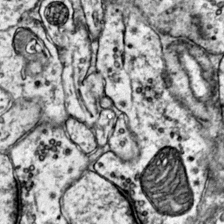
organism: Mouse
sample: Primary visual cortex